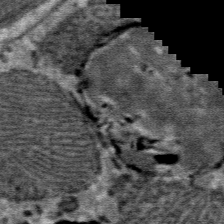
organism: Mouse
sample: Mouse Salivary gland